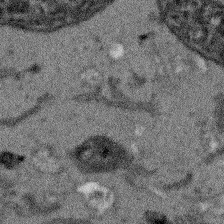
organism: Arabidopsis thaliana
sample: Root tip